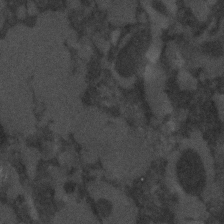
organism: C. elegans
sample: C. elegans embryo